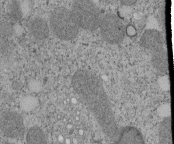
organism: Tetrahymena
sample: Cilia in tetrahymena